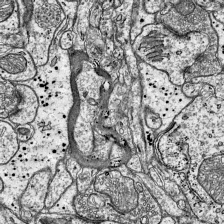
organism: Mouse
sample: Visual Cortex